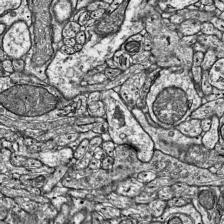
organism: Mouse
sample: Visual Cortex